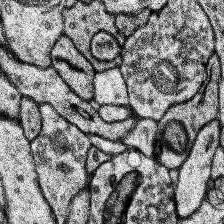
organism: Human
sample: Temporal Lobe